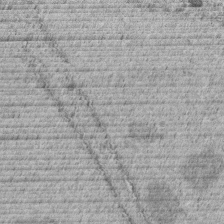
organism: C. elegans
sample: C. elegans embryo early stage